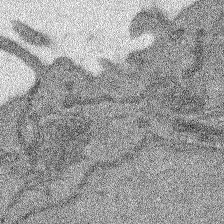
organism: Human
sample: HeLa cells